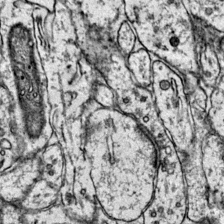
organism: Mouse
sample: Primary visual cortex